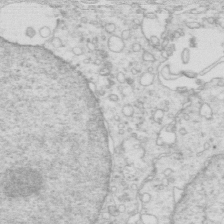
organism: Mouse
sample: Multiciliated cells